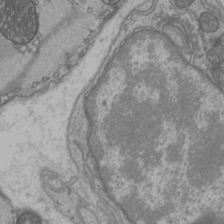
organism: C57BL Mouse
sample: Heart